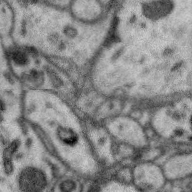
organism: Zebra finch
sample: Brain